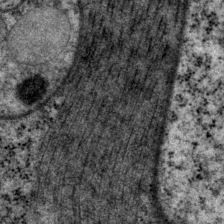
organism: P. pacificus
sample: Pharynx